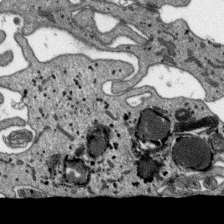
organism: Human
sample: Lung epithelial cells, uninfected (mock) control